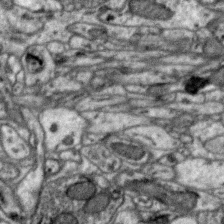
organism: Zebra finch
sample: Brain